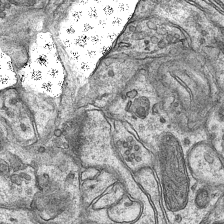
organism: Mouse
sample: CA1 Hippocampus